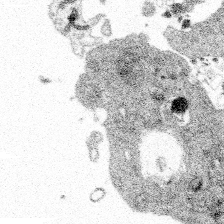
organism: Spongilla lacustris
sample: Multiple